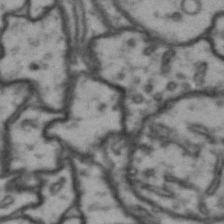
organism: Drosophila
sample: Brain